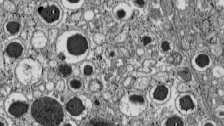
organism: C57BL Mouse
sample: Pancreatic islet